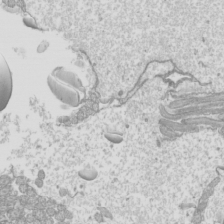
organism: Mouse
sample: Cilia; mouse epididymis